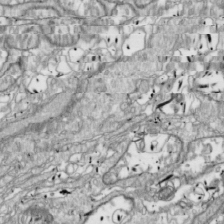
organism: Drosophila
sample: Cell division; meiosis; drosophila spermatocytes